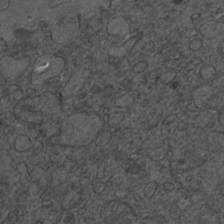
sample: Trachea